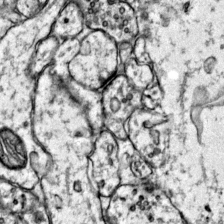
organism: Mouse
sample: Primary visual cortex